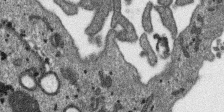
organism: Human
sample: Lung epithelial cells infected with SARS-CoV-2